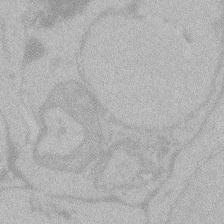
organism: Zebrafish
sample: Macrophage infected with Toxoplasma gondii